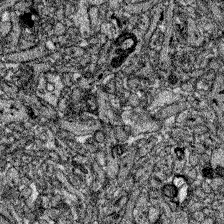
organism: Zebrafish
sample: Larval olfactory bulb